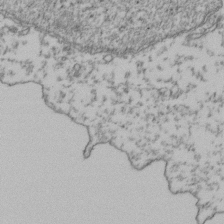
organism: Human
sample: Activated Jurkat CD4+ T cells